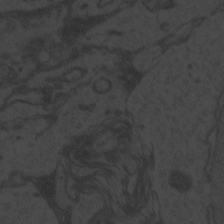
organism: Zebrafish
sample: Macrophage infected with Toxoplasma gondii